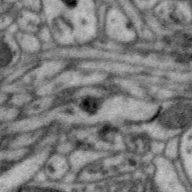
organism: Zebra finch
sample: Brain